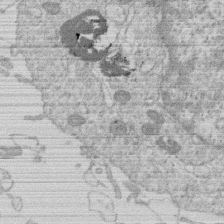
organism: Human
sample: Macrophage cells